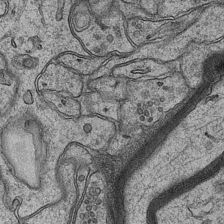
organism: Mouse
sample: CA1 Hippocampus